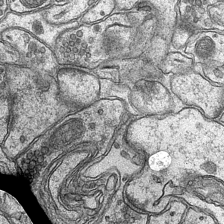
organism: Mouse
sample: CA1 Hippocampus